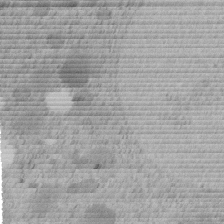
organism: C. elegans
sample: C. elegans embryo early stage